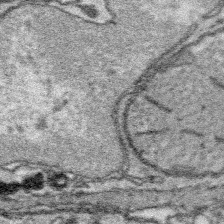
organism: Platynereis dumerilii